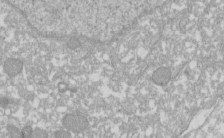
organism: Xenopus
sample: Cilia; centrioles in frog embryo cells